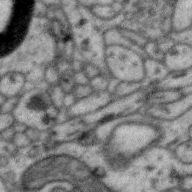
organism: Zebra finch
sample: Brain